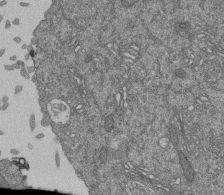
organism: Human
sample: Retinal organoid Rod and Cone cells